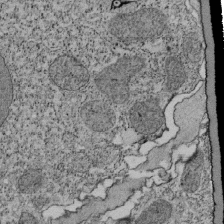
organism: Tetrahymena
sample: Cilia in tetrahymena